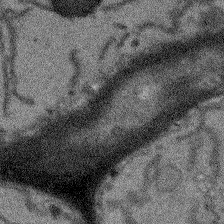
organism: Arabidopsis thaliana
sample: Root tip